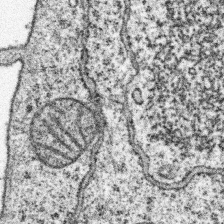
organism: Human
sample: HeLa cells